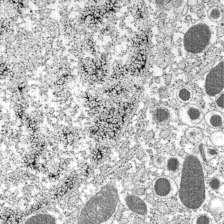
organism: C57BL Mouse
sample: Pancreatic islet